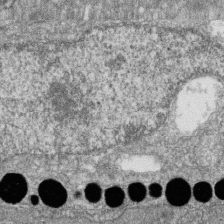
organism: Zebrafish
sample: Cilia; retinal pigment epithelium